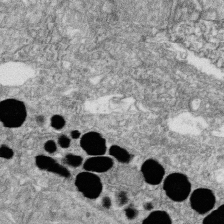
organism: Zebrafish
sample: Cilia; retinal pigment epithelium